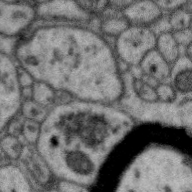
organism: Zebra finch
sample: Brain